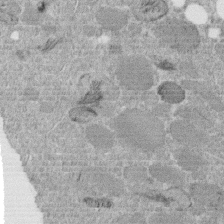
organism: C. elegans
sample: C. elegans embryo early stage